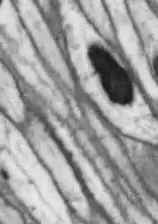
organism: Drosophila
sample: Optic lobe